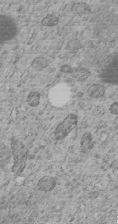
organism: C. elegans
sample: C. elegans embryo early stage